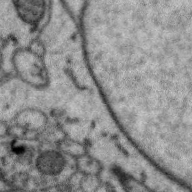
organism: Zebra finch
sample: Brain